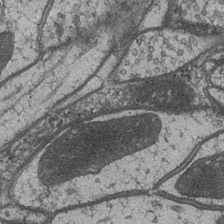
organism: Drosophila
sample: Optic medulla